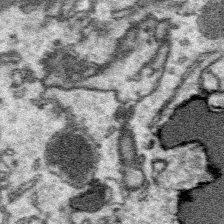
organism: Platynereis dumerilii